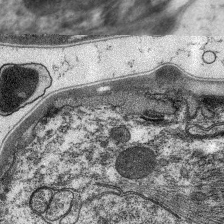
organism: C. elegans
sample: Pharynx